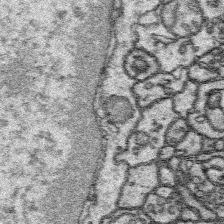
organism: Platynereis dumerilii